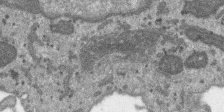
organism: Human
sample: Lung epithelial cells infected with SARS-CoV-2